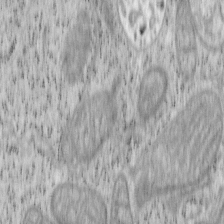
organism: Human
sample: HeLa cells